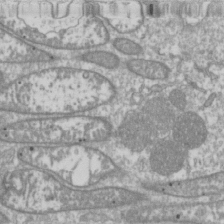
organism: Drosophila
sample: Cell division; meiosis; drosophila spermatocytes